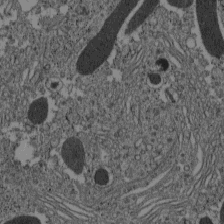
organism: C57BL Mouse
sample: Pancreatic islet